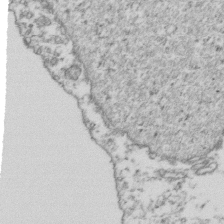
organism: Human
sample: Activated Jurkat CD4+ T cells